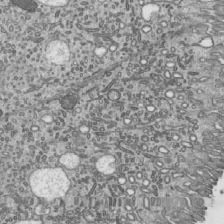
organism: Mouse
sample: Mouse epididymis efferent ductule cilia